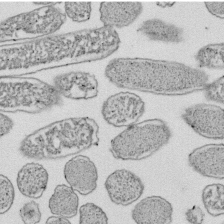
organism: E. coli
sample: Bacterial nucleoid